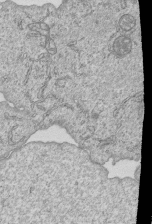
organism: Human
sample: MDA-MB-231 cells